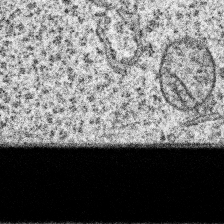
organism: Human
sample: HeLa cells